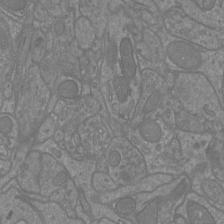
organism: Mouse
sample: Cortical neurons